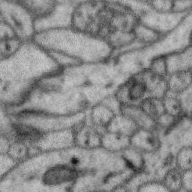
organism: Zebra finch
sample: Brain